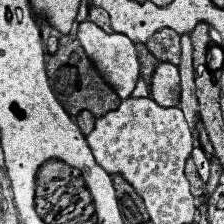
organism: Human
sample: Temporal Lobe